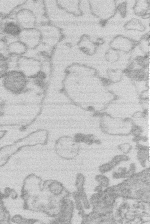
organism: Human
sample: Macrophage cells